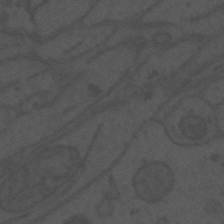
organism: Mouse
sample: Suprachiasmatic nucleus